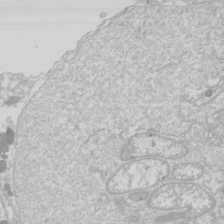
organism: Drosophila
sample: Cell division; meiosis; drosophila spermatocytes